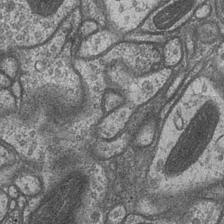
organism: Drosophila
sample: Optic medulla